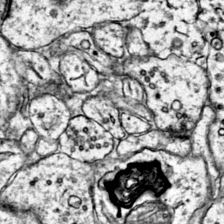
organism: Mouse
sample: Primary visual cortex